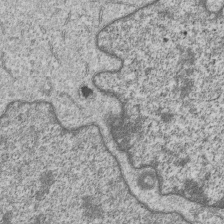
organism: Human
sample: MDA-MB-231 cells